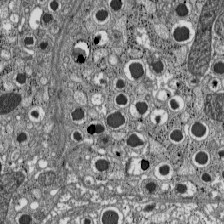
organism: C57BL Mouse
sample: Pancreatic islet